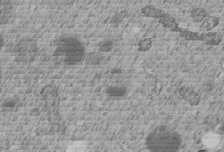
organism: C. elegans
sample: C. elegans embryo early stage